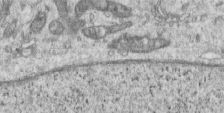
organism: Human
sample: Centriole in RPE cells